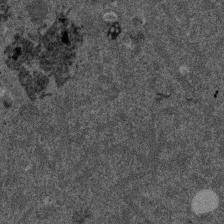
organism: Mouse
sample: Dividing mouse embryo 1 cell stage